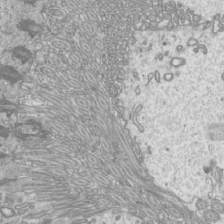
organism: Mouse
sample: Cilia; mouse epididymis